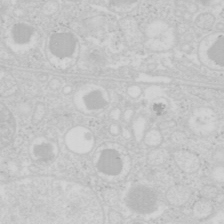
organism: Mouse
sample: Pancreas